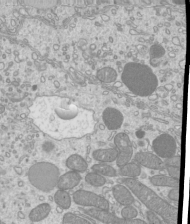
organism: Mouse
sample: Cilia; mouse epididymis